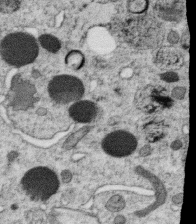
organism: C. elegans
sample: C. elegans oocyte; sperm cells